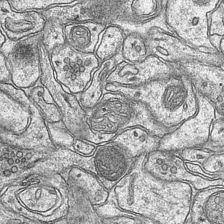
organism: Mouse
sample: CA1 Hippocampus